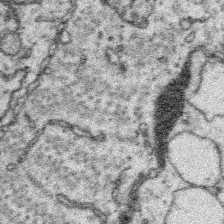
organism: Platynereis dumerilii